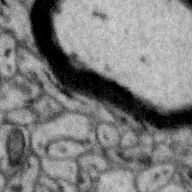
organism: Zebra finch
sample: Brain